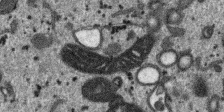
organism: Human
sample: Lung epithelial cells infected with SARS-CoV-2